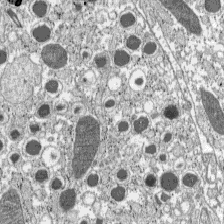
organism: C57BL Mouse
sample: Pancreatic islet